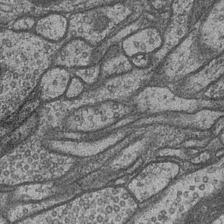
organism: Drosophila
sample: Optic medulla